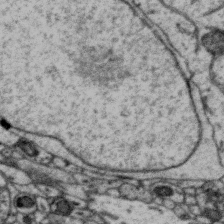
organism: Zebra finch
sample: Brain